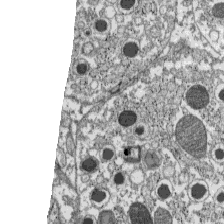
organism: C57BL Mouse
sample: Pancreatic islet